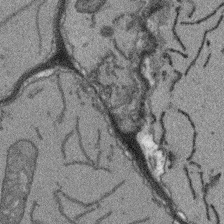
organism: Arabidopsis thaliana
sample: Root tip